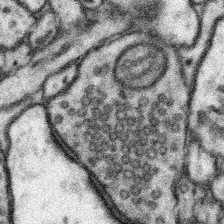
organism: Mouse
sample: Somatosensory cortex neuropil